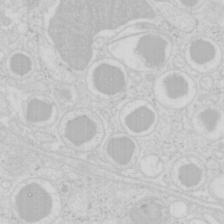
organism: Mouse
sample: Pancreas